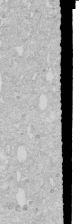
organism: Human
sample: Caco-2 cells